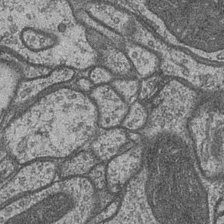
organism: Drosophila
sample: Optic medulla